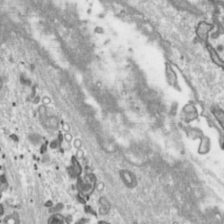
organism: Toxoplasma gondii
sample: Parasites in a vacuole inside a host cell